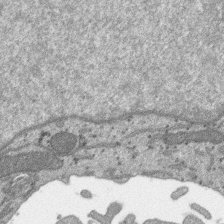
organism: Human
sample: Lung epithelial cells infected with SARS-CoV-2